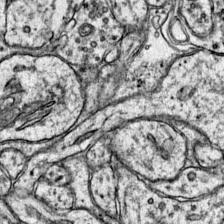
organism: Mouse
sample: Primary visual cortex